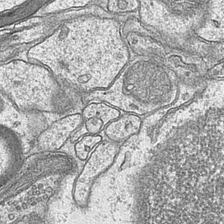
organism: Mouse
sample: CA1 Hippocampus